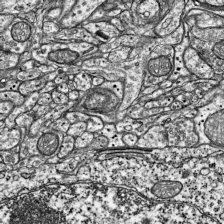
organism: Mouse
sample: Visual Cortex